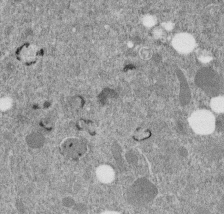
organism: C. elegans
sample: C. elegans embryo early stage